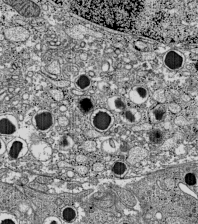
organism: C57BL Mouse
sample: Pancreatic islet